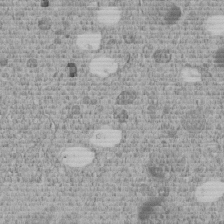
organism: C. elegans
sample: C. elegans embryo early stage